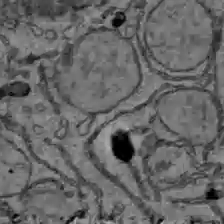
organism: C57BL Mouse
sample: Liver